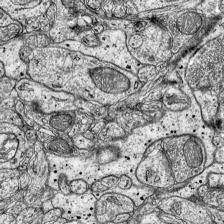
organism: Mouse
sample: Visual Cortex